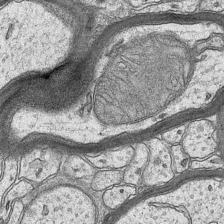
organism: Mouse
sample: CA1 Hippocampus